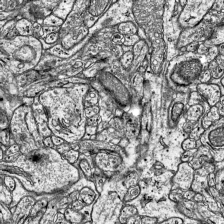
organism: Mouse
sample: Visual Cortex